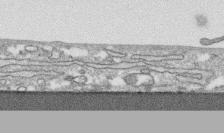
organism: Human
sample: CRL-1474